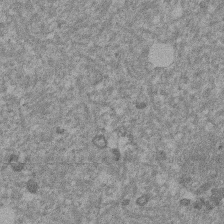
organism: Mouse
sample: Dividing mouse embryo 1 cell stage